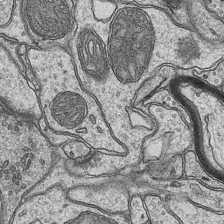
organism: Mouse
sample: CA1 Hippocampus